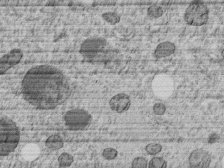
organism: C. elegans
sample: C. elegans embryo early stage